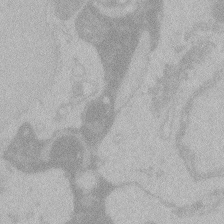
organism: Zebrafish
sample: Macrophage infected with Toxoplasma gondii